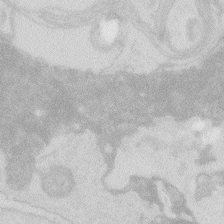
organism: Zebrafish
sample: Macrophage